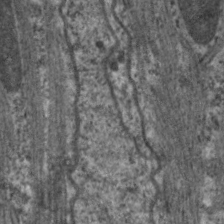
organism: C. elegans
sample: Pharynx